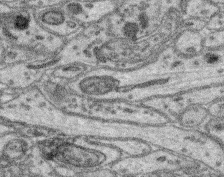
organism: Mouse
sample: Retina